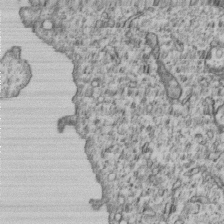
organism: Human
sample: MDA-MB-231 cells